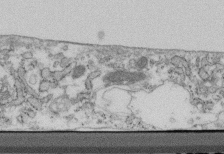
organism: Mouse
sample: Cilia; retinal pigment epithelium